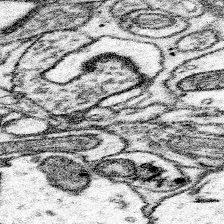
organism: Mouse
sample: Somatosensory cortex neuropil